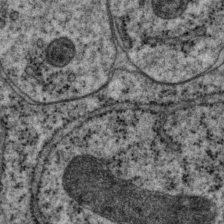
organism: P. pacificus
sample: Pharynx